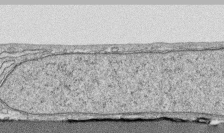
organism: Human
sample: CRL-1474